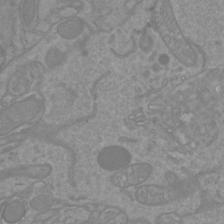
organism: Mouse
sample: Cortical neurons